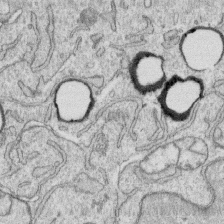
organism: Human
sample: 1205lu cells